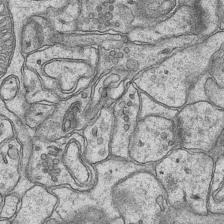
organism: Mouse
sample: CA1 Hippocampus